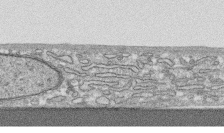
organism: Human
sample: CRL-1474